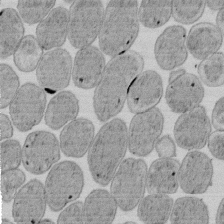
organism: E. coli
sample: Bacterial nucleoid